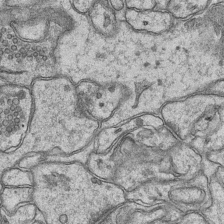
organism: Mouse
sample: CA1 Hippocampus